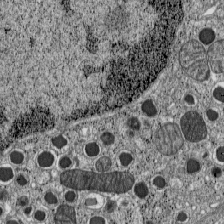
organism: C57BL Mouse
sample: Pancreatic islet